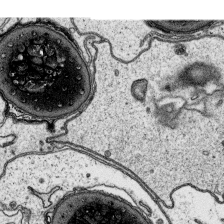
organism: Platynereis dumerilii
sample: Parapodia